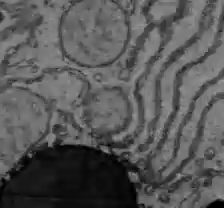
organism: C57BL Mouse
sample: Liver